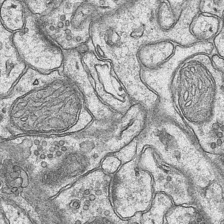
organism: Mouse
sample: CA1 Hippocampus